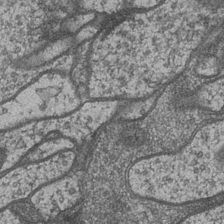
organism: Drosophila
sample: Optic medulla